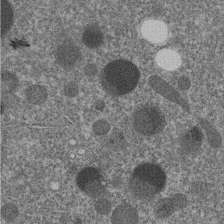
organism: C. elegans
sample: C. elegans embryo early stage